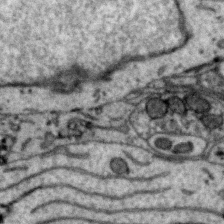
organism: Zebra finch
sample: Brain